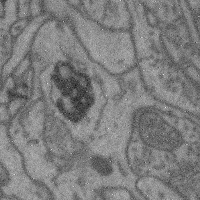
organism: Mouse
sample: Cerebral cortex